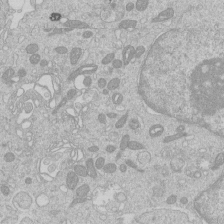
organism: Human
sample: Macrophage cells